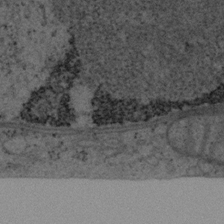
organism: Human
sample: HeLa cells